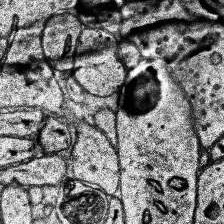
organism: Human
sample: Temporal Lobe